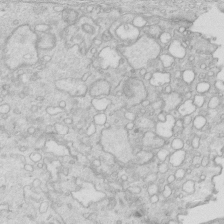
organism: Mouse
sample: Multiciliated cells